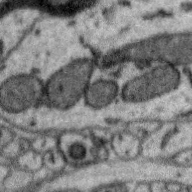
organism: Zebra finch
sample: Brain